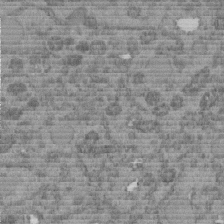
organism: C. elegans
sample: C. elegans embryo early stage